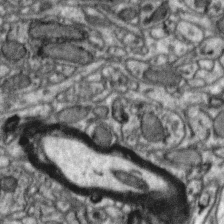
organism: Zebra finch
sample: Brain